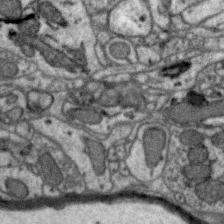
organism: Zebra finch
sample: Brain